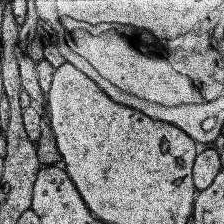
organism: Human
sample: Temporal Lobe